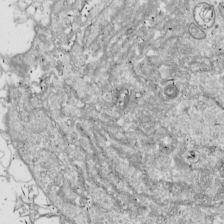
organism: Drosophila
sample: Cell division; meiosis; drosophila spermatocytes